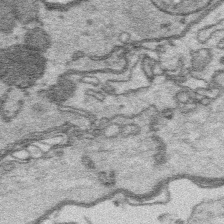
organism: Platynereis dumerilii